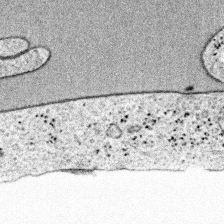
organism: Human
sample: HeLa cells